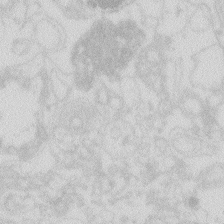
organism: Zebrafish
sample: Macrophage